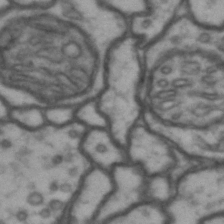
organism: Drosophila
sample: Brain